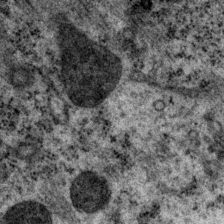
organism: P. pacificus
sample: Pharynx